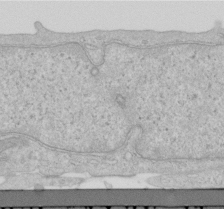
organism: Human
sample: Centriole in RPE cells